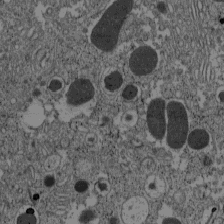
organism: C57BL Mouse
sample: Pancreatic islet